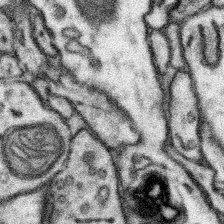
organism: Mouse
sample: Somatosensory cortex neuropil